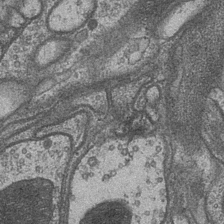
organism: Drosophila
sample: Optic medulla